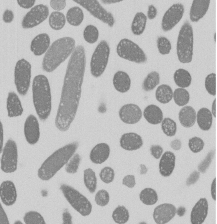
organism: E. coli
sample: Bacterial nucleoid